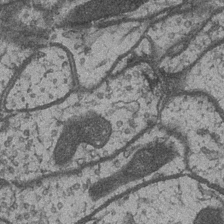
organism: Drosophila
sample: Optic medulla